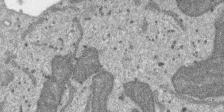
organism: Human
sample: Lung epithelial cells infected with SARS-CoV-2